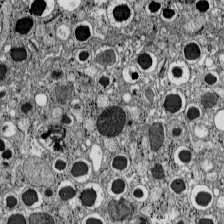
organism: C57BL Mouse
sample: Pancreatic islet